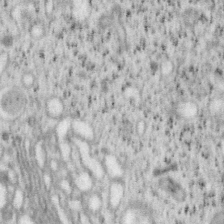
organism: Mouse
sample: OT-I killer T cells with ID8 ovarian cancer cells